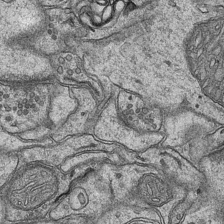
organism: Mouse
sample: CA1 Hippocampus